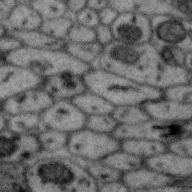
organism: Zebra finch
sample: Brain